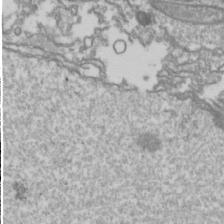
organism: Drosophila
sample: Cell division; meiosis; drosophila spermatocytes